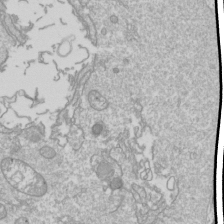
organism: Drosophila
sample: Cell division; meiosis; drosophila spermatocytes